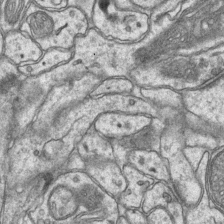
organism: Mouse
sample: CA1 Hippocampus